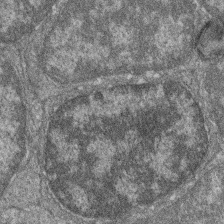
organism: Zebrafish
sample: Cilia; retinal pigment epithelium